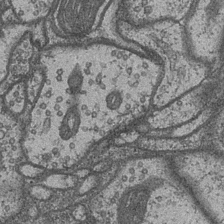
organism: Drosophila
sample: Optic medulla